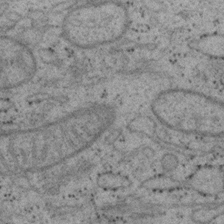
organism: Human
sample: HeLa cells